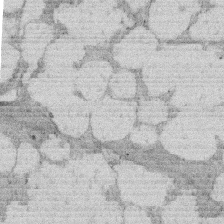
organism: Rat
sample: Salivary granule